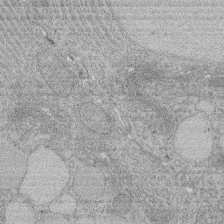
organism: Rat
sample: Salivary granule